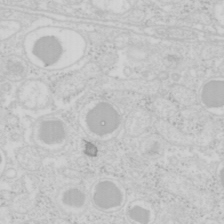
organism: Mouse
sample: Pancreas